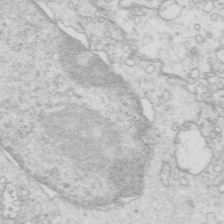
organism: Mouse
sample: Multiciliated cells